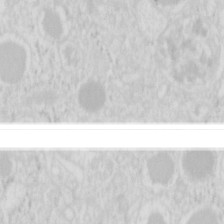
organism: Mouse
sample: Pancreas